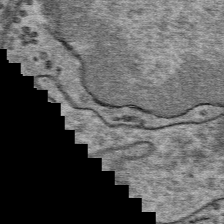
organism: Mouse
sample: Mouse Salivary gland